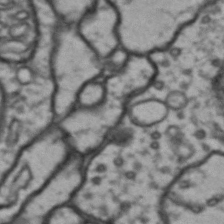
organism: Drosophila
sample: Brain